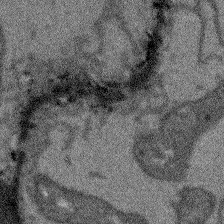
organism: Arabidopsis thaliana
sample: Root tip